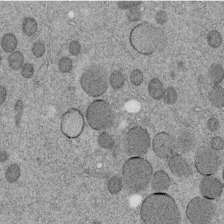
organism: C. elegans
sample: C. elegans embryo early stage